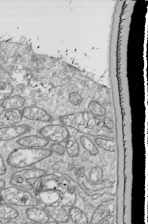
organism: Drosophila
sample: Cell division; meiosis; drosophila spermatocytes